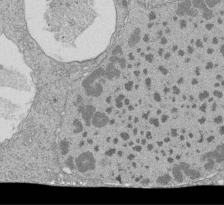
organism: Tetrahymena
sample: Cilia in tetrahymena